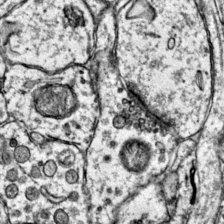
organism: Mouse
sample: Primary visual cortex